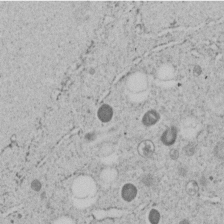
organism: C. elegans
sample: C. elegans embryo early stage